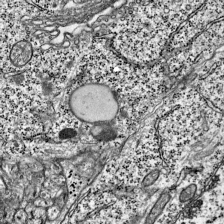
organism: Mouse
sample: Visual Cortex